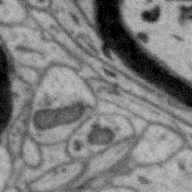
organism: Zebra finch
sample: Brain